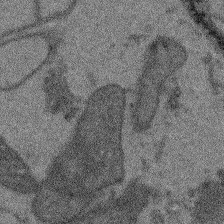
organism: Arabidopsis thaliana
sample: Root tip